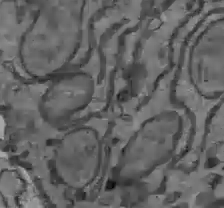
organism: C57BL Mouse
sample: Liver